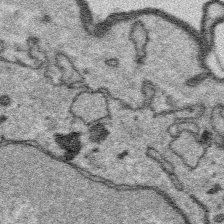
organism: Platynereis dumerilii